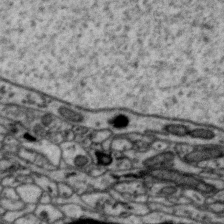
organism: Zebra finch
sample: Brain